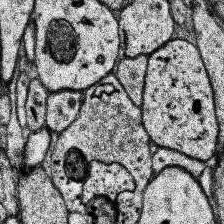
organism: Human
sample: Temporal Lobe